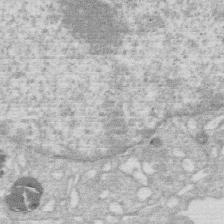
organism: Human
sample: Macrophage cells